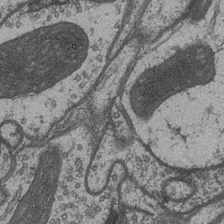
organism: Drosophila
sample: Optic medulla